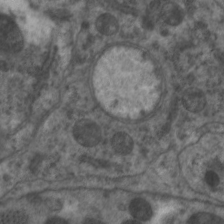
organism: C. elegans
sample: Pharynx